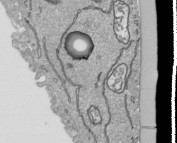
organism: Human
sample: Mitochondria in HCT116 cells